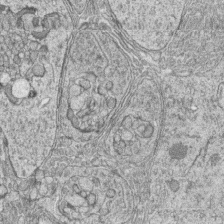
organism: Zebrafish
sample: synaptic ribbons in rod cells and cone cells